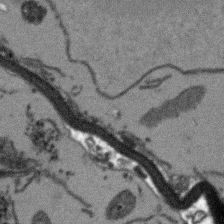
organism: Arabidopsis thaliana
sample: Root tip